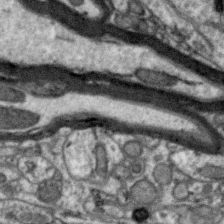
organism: Zebra finch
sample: Brain